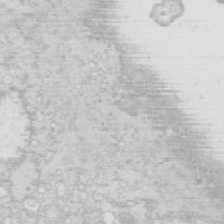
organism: Mouse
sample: Multiciliated cells